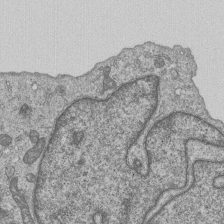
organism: Human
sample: MDA-MB-231 cells